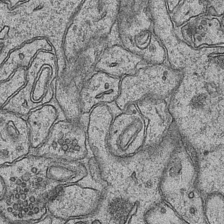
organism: Mouse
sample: CA1 Hippocampus